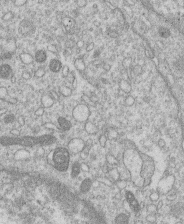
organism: Human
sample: Macrophage cells